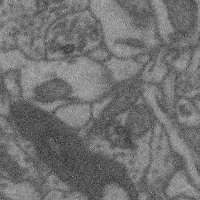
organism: Mouse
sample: Cerebral cortex